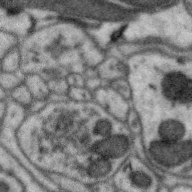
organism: Zebra finch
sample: Brain